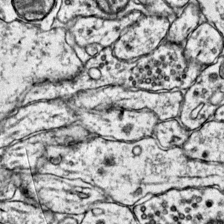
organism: Mouse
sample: Primary visual cortex